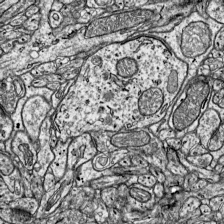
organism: Mouse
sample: Visual Cortex